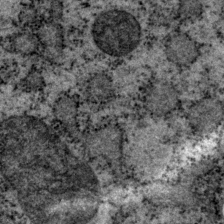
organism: P. pacificus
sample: Pharynx